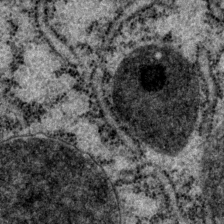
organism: P. pacificus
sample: Pharynx